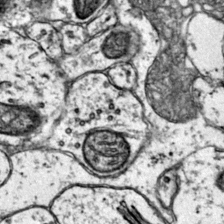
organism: Mouse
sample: Primary visual cortex